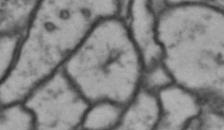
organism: Drosophila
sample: Brain